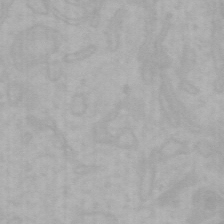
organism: Mouse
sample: Choroid plexus